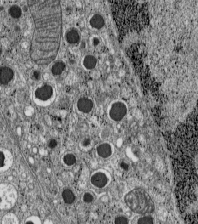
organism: C57BL Mouse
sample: Pancreatic islet